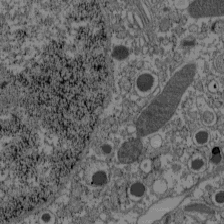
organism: C57BL Mouse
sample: Pancreatic islet